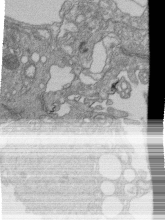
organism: Human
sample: Retinal organoid Rod and Cone cells